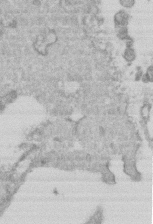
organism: Mouse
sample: Centriole in ependymal cells